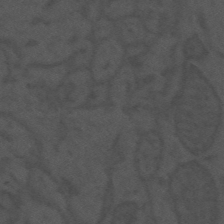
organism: Mouse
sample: Suprachiasmatic nucleus